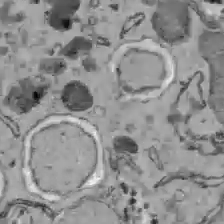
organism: C57BL Mouse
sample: Liver